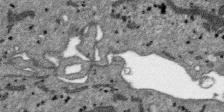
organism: Human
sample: Lung epithelial cells, uninfected (mock) control